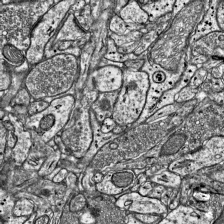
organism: Mouse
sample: Visual Cortex